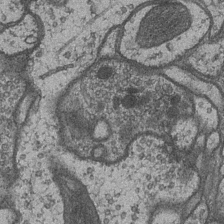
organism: Drosophila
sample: Optic medulla